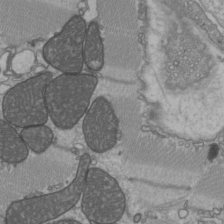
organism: C57BL Mouse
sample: Heart